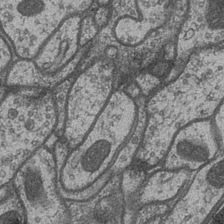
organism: Drosophila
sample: Optic medulla